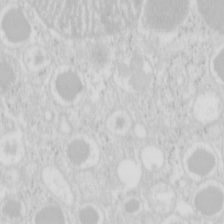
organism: Mouse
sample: Pancreas